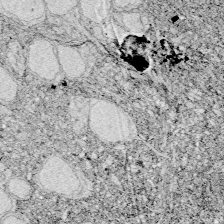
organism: Zebrafish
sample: Whole-Brain